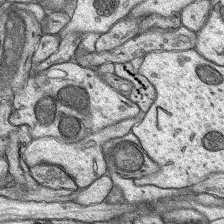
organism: Rat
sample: Hippocampus